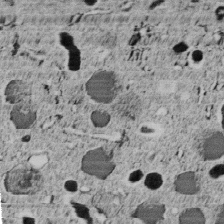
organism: C. elegans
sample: C. elegans embryo early stage